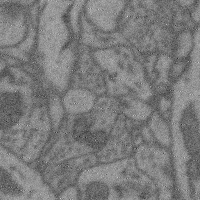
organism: Mouse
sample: Cerebral cortex